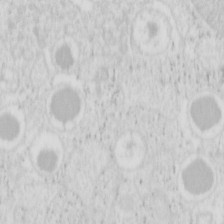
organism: Mouse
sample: Pancreas